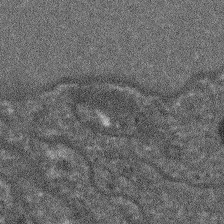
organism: Arabidopsis thaliana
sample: Root tip